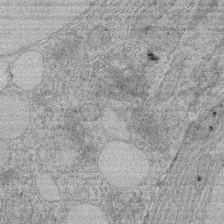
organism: Rat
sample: Salivary granule